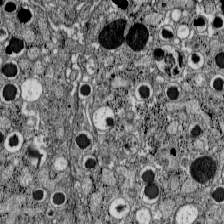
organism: C57BL Mouse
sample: Pancreatic islet